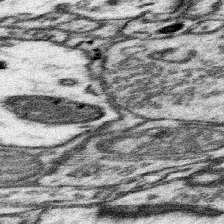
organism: Mouse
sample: Somatosensory cortex neuropil